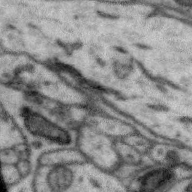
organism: Zebra finch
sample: Brain